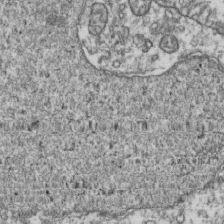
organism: Human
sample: Activated Jurkat CD4+ T cells